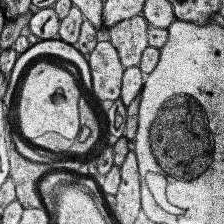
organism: Human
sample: Temporal Lobe